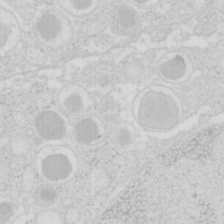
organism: Mouse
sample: Pancreas